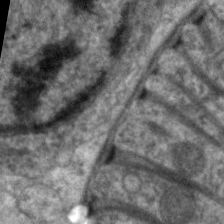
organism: C. elegans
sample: Pharynx